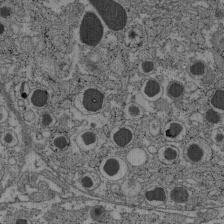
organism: C57BL Mouse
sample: Pancreatic islet